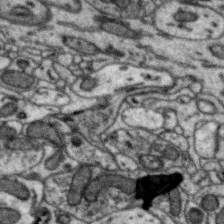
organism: Zebra finch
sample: Brain